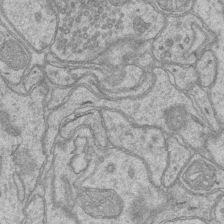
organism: Mouse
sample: CA1 Hippocampus